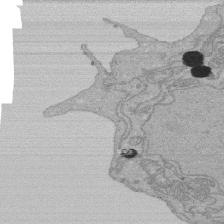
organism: Human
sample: Activated Jurkat CD4+ T cells